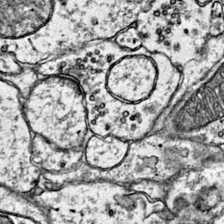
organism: Mouse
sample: Primary visual cortex